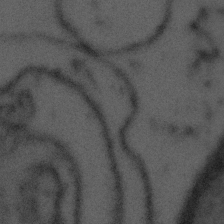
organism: Tuwongella immobilis